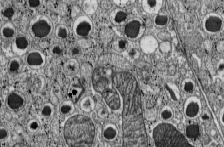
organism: C57BL Mouse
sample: Pancreatic islet